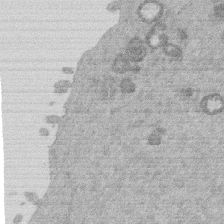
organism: Mouse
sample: Dividing mouse embryo 1 cell stage